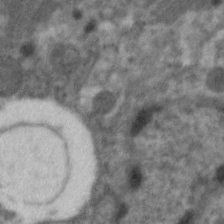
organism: C. elegans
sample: Pharynx